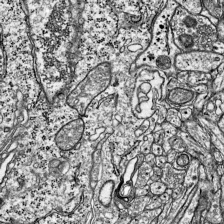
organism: Mouse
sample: Visual Cortex